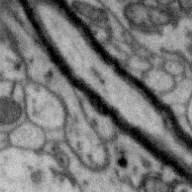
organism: Zebra finch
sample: Brain